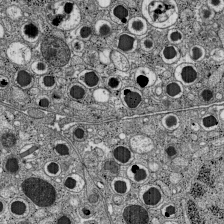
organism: C57BL Mouse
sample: Pancreatic islet